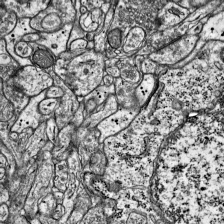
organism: Mouse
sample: Visual Cortex